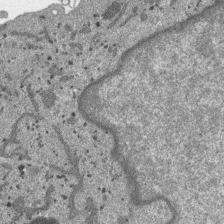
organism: Human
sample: Lung epithelial cells infected with SARS-CoV-2